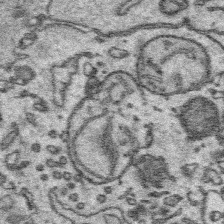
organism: Platynereis dumerilii